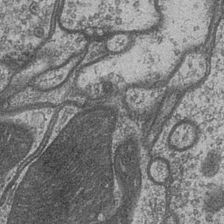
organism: Drosophila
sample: Optic medulla